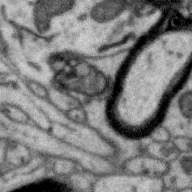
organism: Zebra finch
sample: Brain